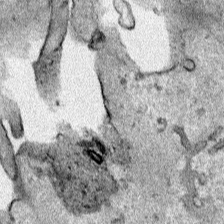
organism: Human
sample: Mitochondria in HCT116 cells